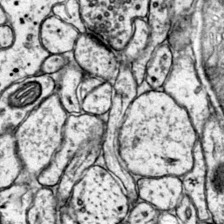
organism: Mouse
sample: Primary visual cortex